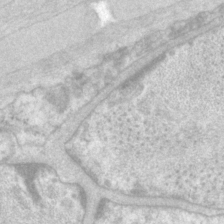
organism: P. pacificus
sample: Pharynx